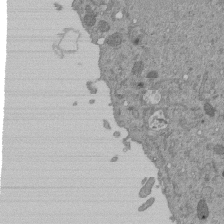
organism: Mouse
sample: ED-1 cell nuclei; centrioles